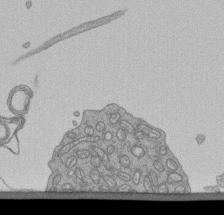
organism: Human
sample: Retinal organoid Rod and Cone cells